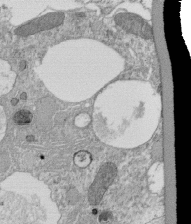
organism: Tetrahymena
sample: Cilia in tetrahymena